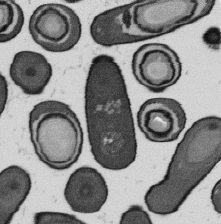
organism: B. subtilis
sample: Bacterial spore